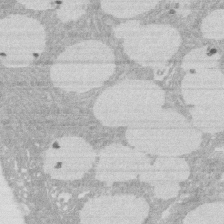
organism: Rat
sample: Salivary granule